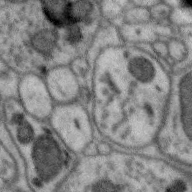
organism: Zebra finch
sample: Brain